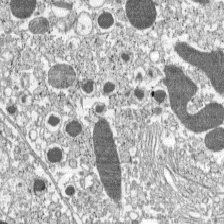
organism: C57BL Mouse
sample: Pancreatic islet